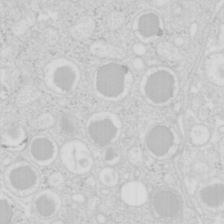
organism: Mouse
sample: Pancreas